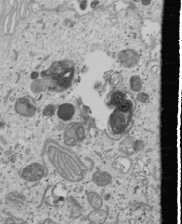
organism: Human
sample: Mitochondria in U2OS cells